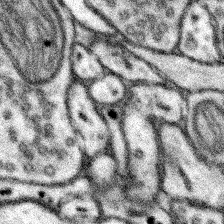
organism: Mouse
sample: Somatosensory cortex neuropil